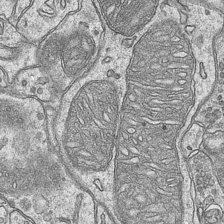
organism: Mouse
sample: CA1 Hippocampus